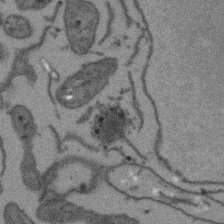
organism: Arabidopsis thaliana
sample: Root tip